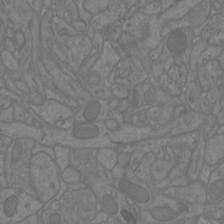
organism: Mouse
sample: Cortical neurons